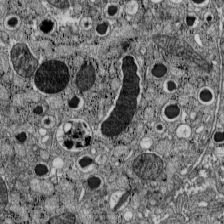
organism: C57BL Mouse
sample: Pancreatic islet